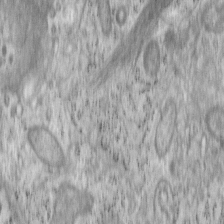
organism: Human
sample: HeLa cells